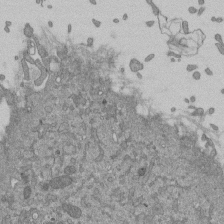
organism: Mouse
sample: ED-1 cell nuclei; centrioles